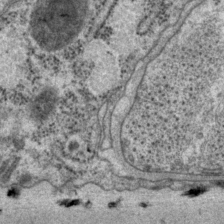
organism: P. pacificus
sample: Pharynx